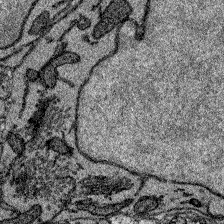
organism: Zebrafish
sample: Larval olfactory bulb